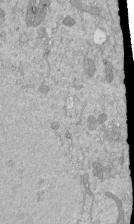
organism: Mouse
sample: ED-1 cell nuclei; centrioles